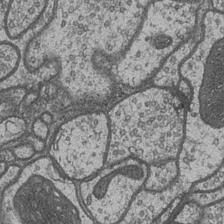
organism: Drosophila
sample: Optic medulla